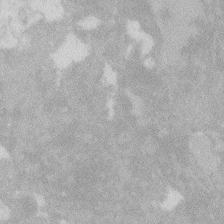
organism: Zebrafish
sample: Macrophage